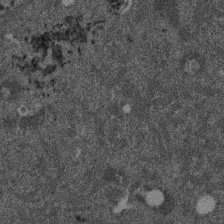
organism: Mouse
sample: Dividing mouse embryo 1 cell stage